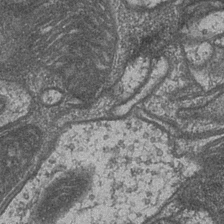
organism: Drosophila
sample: Optic medulla